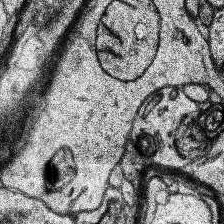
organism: Human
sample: Temporal Lobe